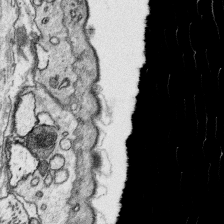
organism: Platynereis dumerilii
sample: Parapodia